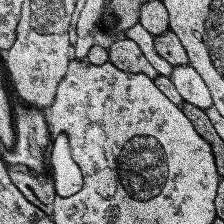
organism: Human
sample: Temporal Lobe